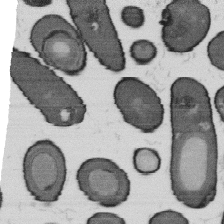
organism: B. subtilis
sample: Bacterial spore